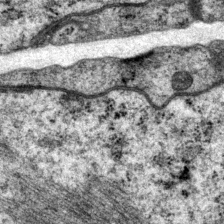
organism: P. pacificus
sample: Pharynx